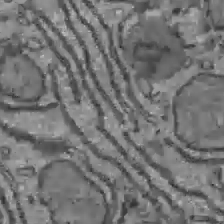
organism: C57BL Mouse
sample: Liver